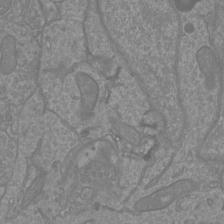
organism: Mouse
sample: Cortical neurons